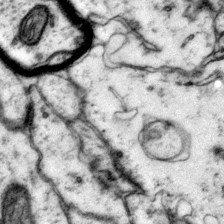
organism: Mouse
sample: Primary visual cortex